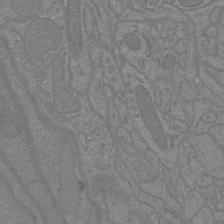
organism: Mouse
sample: Cortical neurons